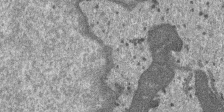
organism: Human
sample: Lung epithelial cells infected with SARS-CoV-2